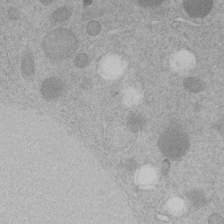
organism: C. elegans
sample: C. elegans embryo early stage